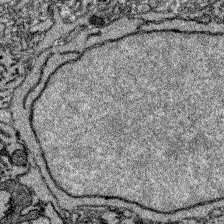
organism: Zebrafish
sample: Larval olfactory bulb